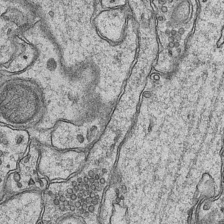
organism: Mouse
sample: CA1 Hippocampus